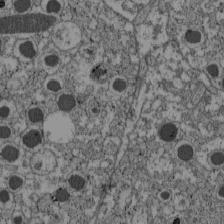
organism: C57BL Mouse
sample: Pancreatic islet